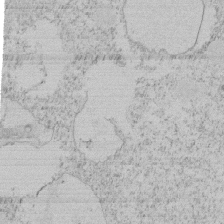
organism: Tetrahymena